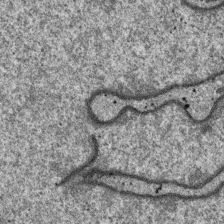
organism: Human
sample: Lung epithelial cells, uninfected (mock) control